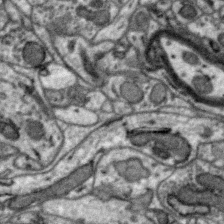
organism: Zebra finch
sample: Brain